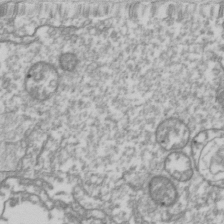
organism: Drosophila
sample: Cell division; meiosis; drosophila spermatocytes